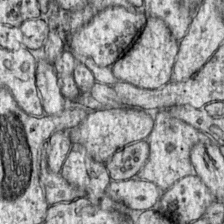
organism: Mouse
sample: Primary visual cortex